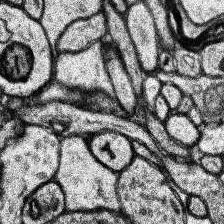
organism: Human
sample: Temporal Lobe